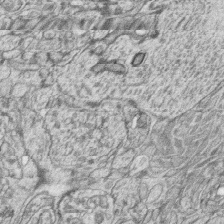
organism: Zebrafish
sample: synaptic ribbons in rod cells and cone cells